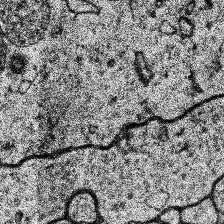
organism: Human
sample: Temporal Lobe